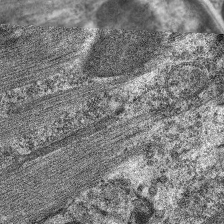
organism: C. elegans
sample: Pharynx